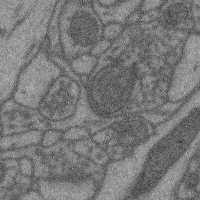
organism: Mouse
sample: Cerebral cortex